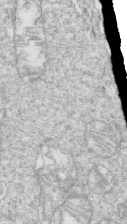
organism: Human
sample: HeLa cell HIV synapse